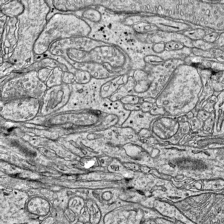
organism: Mouse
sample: Visual Cortex